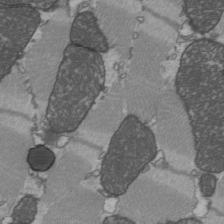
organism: C57BL Mouse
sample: Heart